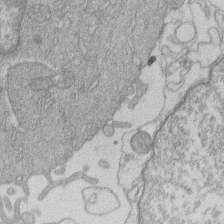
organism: Human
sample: Macrophage cells